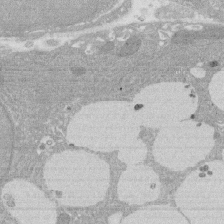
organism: Rat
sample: Salivary granule